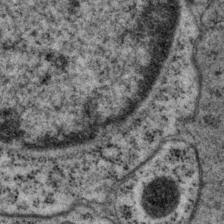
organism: P. pacificus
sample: Pharynx